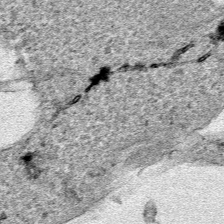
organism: Human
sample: Mitochondria in HCT116 cells